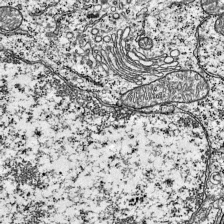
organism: Mouse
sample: Visual Cortex